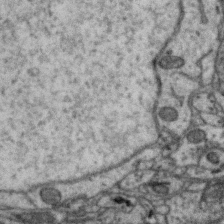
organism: Zebra finch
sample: Brain